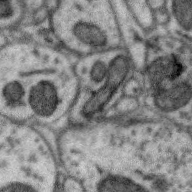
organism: Zebra finch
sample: Brain